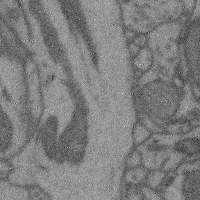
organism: Mouse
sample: Cerebral cortex